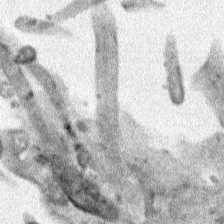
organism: Human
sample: Mitochondria in HCT116 cells